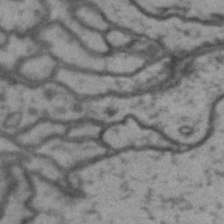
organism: Drosophila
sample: Brain